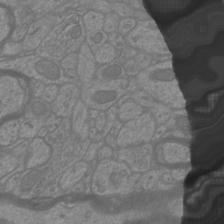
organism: Mouse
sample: Cortical neurons